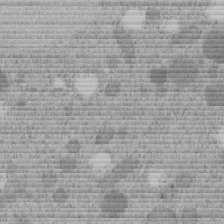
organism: C. elegans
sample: C. elegans embryo early stage